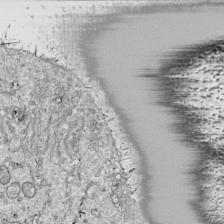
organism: Drosophila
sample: Cell division; meiosis; drosophila spermatocytes